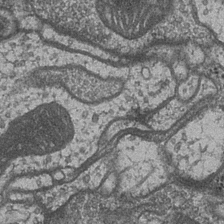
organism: Drosophila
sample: Optic medulla